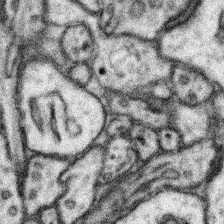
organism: Mouse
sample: Somatosensory cortex neuropil